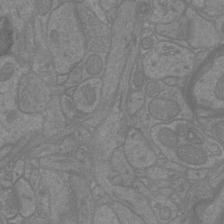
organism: Mouse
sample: Cortical neurons